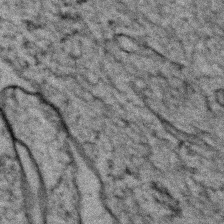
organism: Zebrafish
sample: Zebrafish embryo